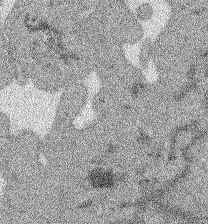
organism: Human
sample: HeLa cells